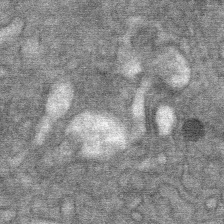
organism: Mouse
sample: Mouse Salivary gland